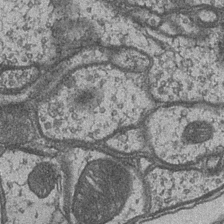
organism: Drosophila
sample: Optic medulla